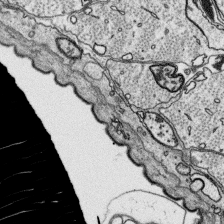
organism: Platynereis dumerilii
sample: Parapodia